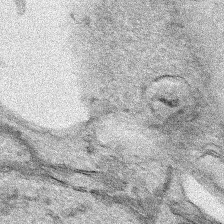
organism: Human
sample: Mitochondria in HCT116 cells